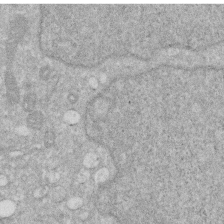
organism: Human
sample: HIV infected U937 cells